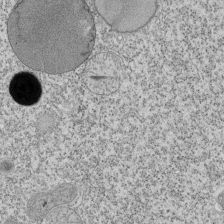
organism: Tetrahymena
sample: Cilia in tetrahymena